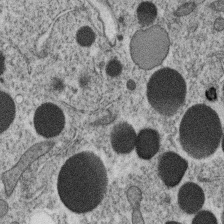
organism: C. elegans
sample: C. elegans oocyte; sperm cells